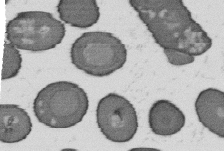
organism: B. subtilis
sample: Bacterial spore